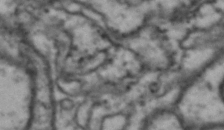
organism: Drosophila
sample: Brain